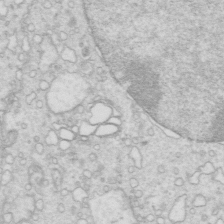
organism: Mouse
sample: Multiciliated cells